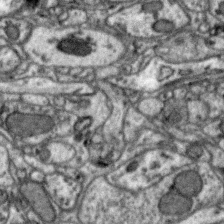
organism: Zebra finch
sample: Brain